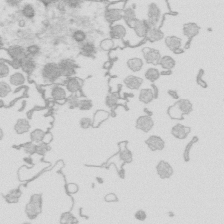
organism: Mouse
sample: Multiciliated cells